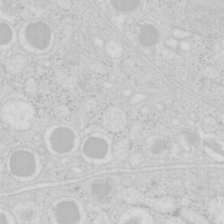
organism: Mouse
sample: Pancreas